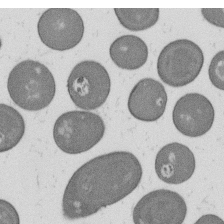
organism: B. subtilis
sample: Bacterial spore